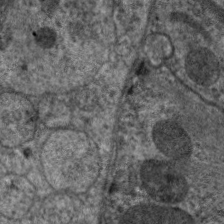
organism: C. elegans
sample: Pharynx